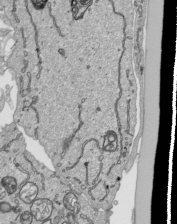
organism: Human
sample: Mitochondria in HCT116 cells